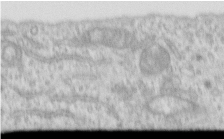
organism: Human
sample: Centriole in RPE cells